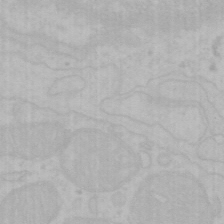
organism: Mouse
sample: Choroid plexus